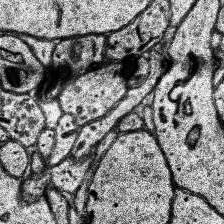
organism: Human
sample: Temporal Lobe